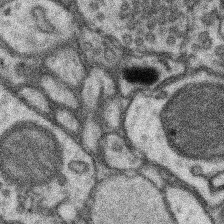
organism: Mouse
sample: Somatosensory cortex neuropil